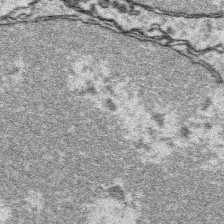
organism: Platynereis dumerilii